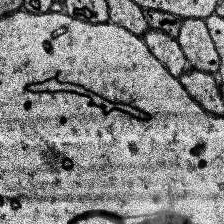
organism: Human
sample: Temporal Lobe